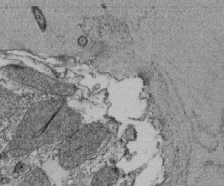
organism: Tetrahymena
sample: Cilia in tetrahymena